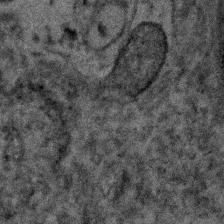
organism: Human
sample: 1205lu cells